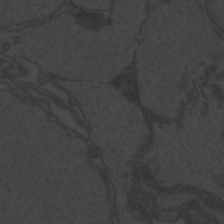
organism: Zebrafish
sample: Macrophage infected with Toxoplasma gondii